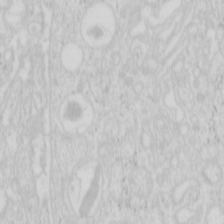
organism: Mouse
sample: Pancreas